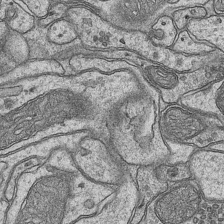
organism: Mouse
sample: CA1 Hippocampus